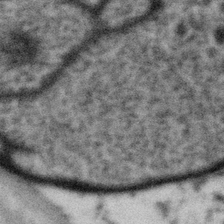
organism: Gemmata obscuriglobus